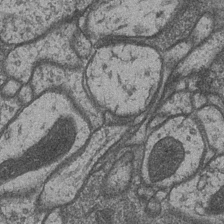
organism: Drosophila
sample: Optic medulla